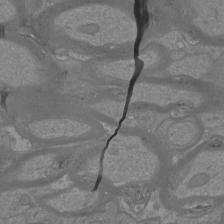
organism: Mouse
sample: Cortical neurons